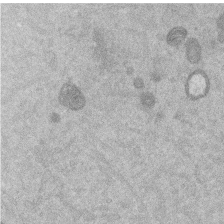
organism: Mouse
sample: Dividing mouse embryo 1 cell stage